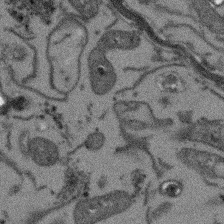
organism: Arabidopsis thaliana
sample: Root tip